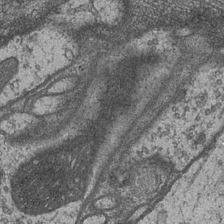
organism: Drosophila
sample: Optic medulla